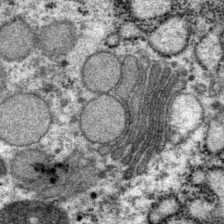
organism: P. pacificus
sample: Pharynx